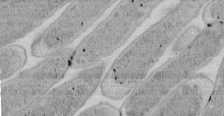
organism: E. coli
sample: Bacterial nucleoid